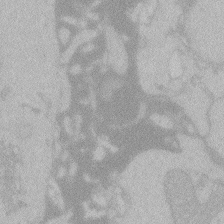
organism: Zebrafish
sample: Macrophage infected with Toxoplasma gondii